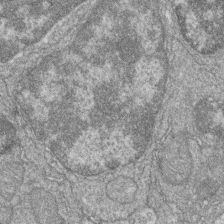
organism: Zebrafish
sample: Cilia; retinal pigment epithelium